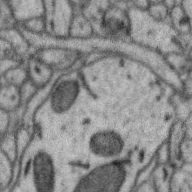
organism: Zebra finch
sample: Brain